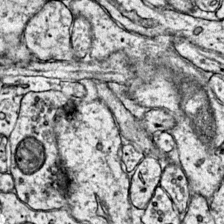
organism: Mouse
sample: Primary visual cortex